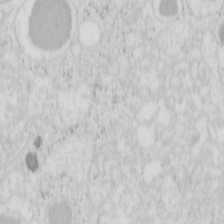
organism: Mouse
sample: Pancreas